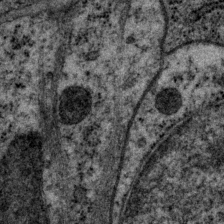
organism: P. pacificus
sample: Pharynx